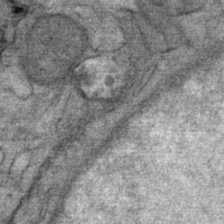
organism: Mouse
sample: Mouse Salivary gland